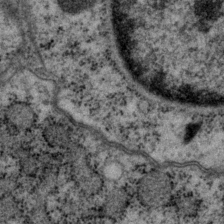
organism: P. pacificus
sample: Pharynx